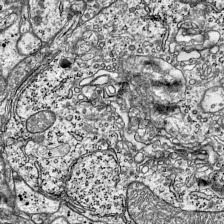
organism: Mouse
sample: Visual Cortex